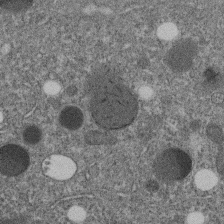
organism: C. elegans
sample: C. elegans embryo early stage